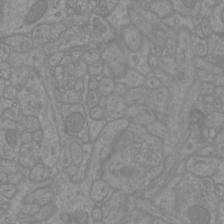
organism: Mouse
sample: Cortical neurons